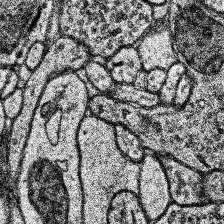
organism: Human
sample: Temporal Lobe